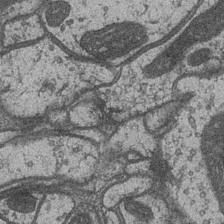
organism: Drosophila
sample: Optic medulla